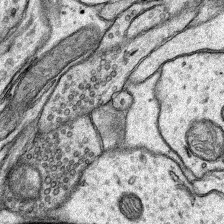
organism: Rat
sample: Hippocampus